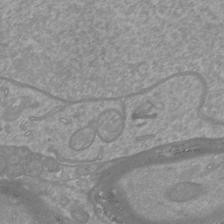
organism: Mouse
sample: Cortical neurons